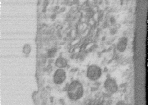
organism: Human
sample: Centriole in RPE cells